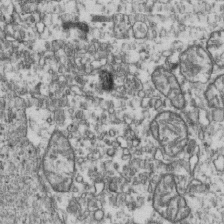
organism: Human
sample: Activated Jurkat CD4+ T cells